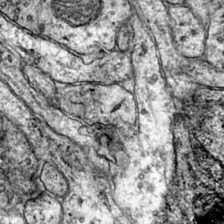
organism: Mouse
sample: Primary visual cortex